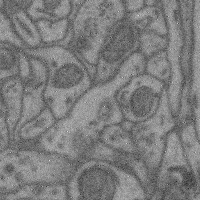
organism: Mouse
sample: Cerebral cortex